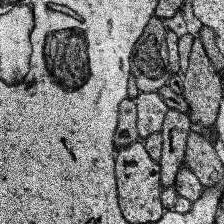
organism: Human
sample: Temporal Lobe